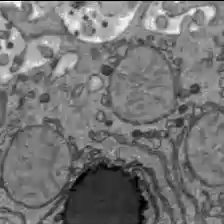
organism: C57BL Mouse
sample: Liver